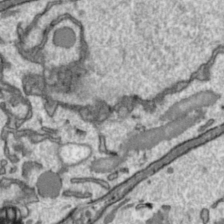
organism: Toxoplasma gondii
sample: Parasites in a vacuole inside a host cell